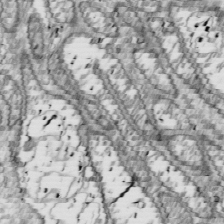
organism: Drosophila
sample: Cell division; meiosis; drosophila spermatocytes